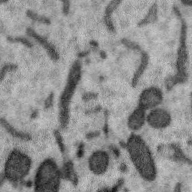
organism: Zebra finch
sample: Brain